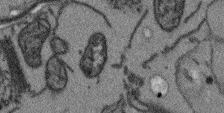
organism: Arabidopsis thaliana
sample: Root tip